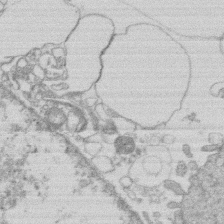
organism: Human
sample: Macrophage cells